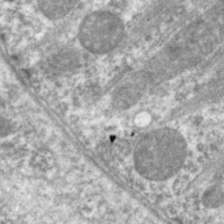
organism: C. elegans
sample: Pharynx